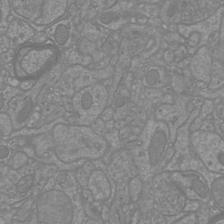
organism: Mouse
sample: Cortical neurons